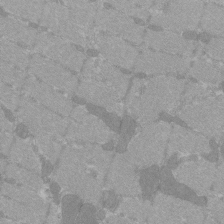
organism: C57BL Mouse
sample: Tibialis anterior muscle cell